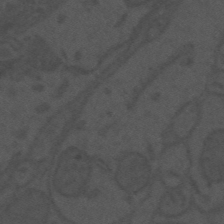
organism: Mouse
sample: Suprachiasmatic nucleus